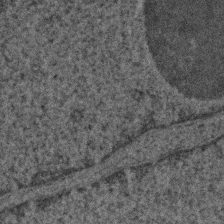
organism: Human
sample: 1205lu cells